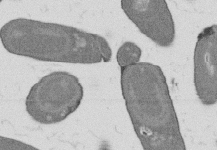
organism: B. subtilis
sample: Bacterial spore